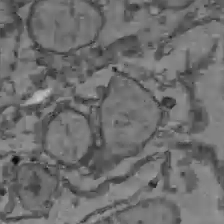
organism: C57BL Mouse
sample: Liver